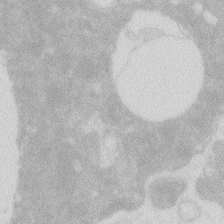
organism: Zebrafish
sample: Macrophage